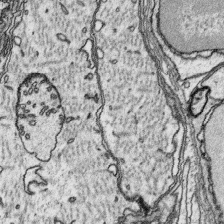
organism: Platynereis dumerilii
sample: Parapodia